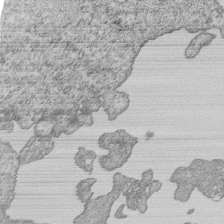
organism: Human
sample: MDA-MB-231 cells